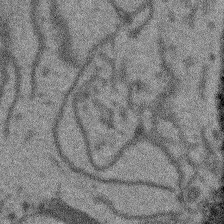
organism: Arabidopsis thaliana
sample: Root tip